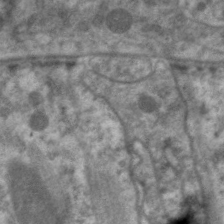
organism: C. elegans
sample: Pharynx